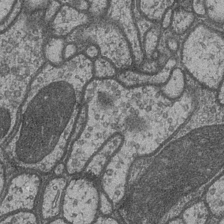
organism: Drosophila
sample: Optic medulla